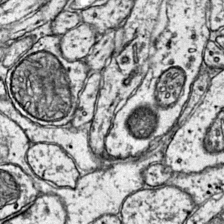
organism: Mouse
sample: Primary visual cortex